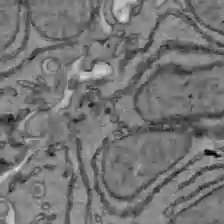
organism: C57BL Mouse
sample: Liver